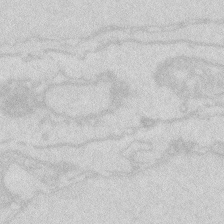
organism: Zebrafish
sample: Macrophage